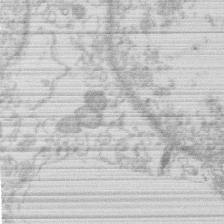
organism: Human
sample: Macrophage cells